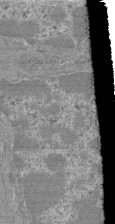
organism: Mouse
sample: Glomerulus